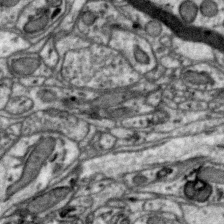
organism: Zebra finch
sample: Brain